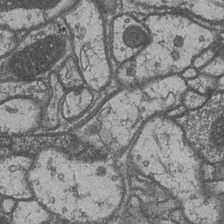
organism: Drosophila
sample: Optic medulla